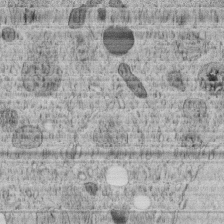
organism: C. elegans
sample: C. elegans embryo early stage